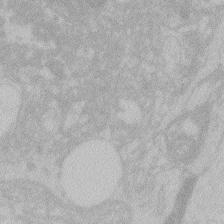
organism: Zebrafish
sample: Macrophage infected with Toxoplasma gondii